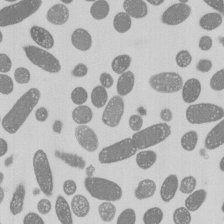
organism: E. coli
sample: Bacterial nucleoid